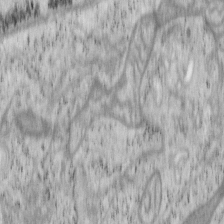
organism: Human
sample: HeLa cells